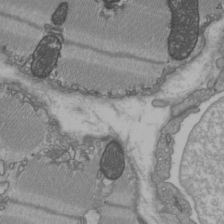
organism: C57BL Mouse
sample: Heart